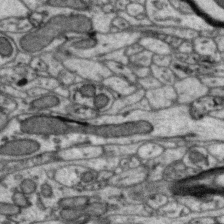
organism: Zebra finch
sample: Brain